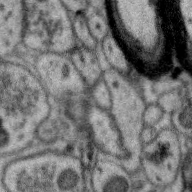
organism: Zebra finch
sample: Brain